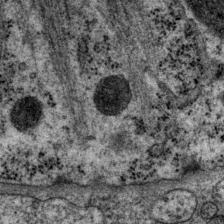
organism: P. pacificus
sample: Pharynx